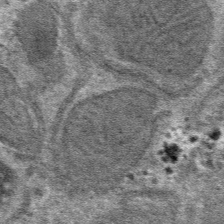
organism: Mouse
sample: Mouse hepatocytes